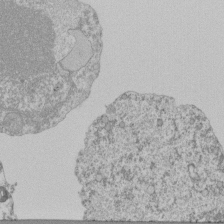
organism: Mouse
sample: Activated Pmel transgenic CD8+ T Cells